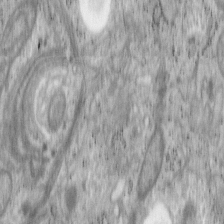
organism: Human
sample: HeLa cells